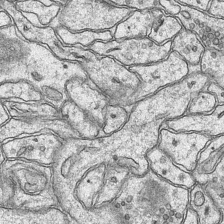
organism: Mouse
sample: CA1 Hippocampus